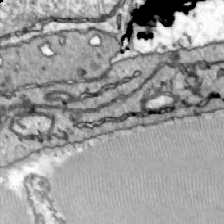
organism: Zebrafish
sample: Actinotrichia fibers